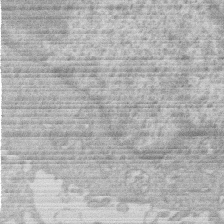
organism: Human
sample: Macrophage cells